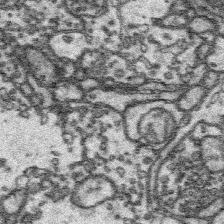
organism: Platynereis dumerilii